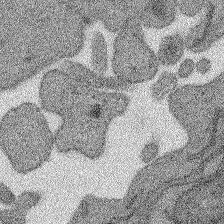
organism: Human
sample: HeLa cells